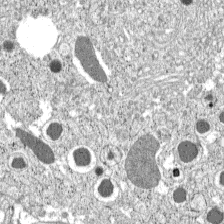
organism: C57BL Mouse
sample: Pancreatic islet